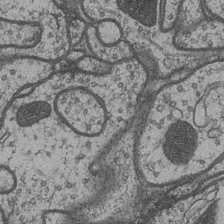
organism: Drosophila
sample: Optic medulla